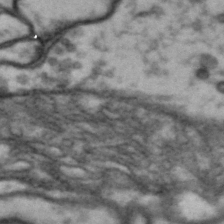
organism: Drosophila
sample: Brain